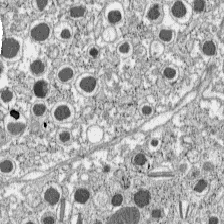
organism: C57BL Mouse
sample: Pancreatic islet